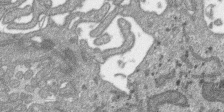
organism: Human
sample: Lung epithelial cells infected with SARS-CoV-2